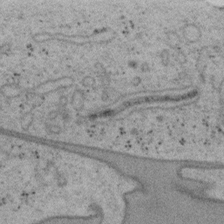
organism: Human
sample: HeLa cells